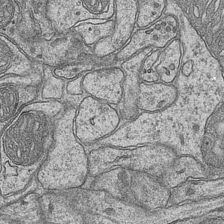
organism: Mouse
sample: CA1 Hippocampus